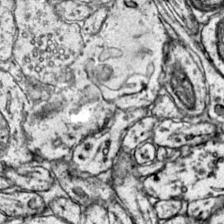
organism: Mouse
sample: Primary visual cortex